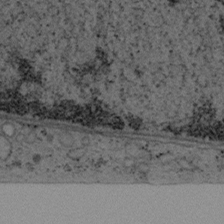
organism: Human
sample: HeLa cells